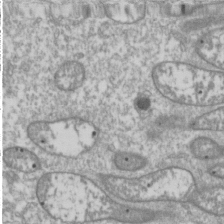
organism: Drosophila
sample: Cell division; meiosis; drosophila spermatocytes